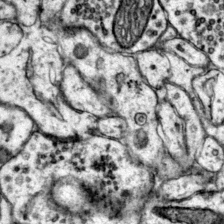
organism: Mouse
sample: Primary visual cortex